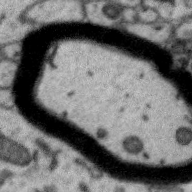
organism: Zebra finch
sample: Brain